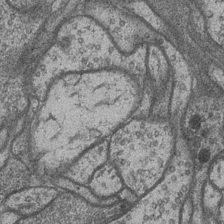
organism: Drosophila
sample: Optic medulla